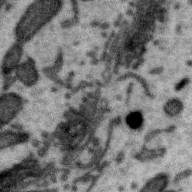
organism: Zebra finch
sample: Brain